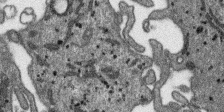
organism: Human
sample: Lung epithelial cells infected with SARS-CoV-2